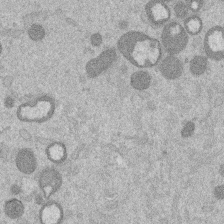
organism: Mouse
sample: Dividing mouse embryo 1 cell stage